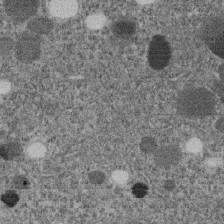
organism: C. elegans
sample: C. elegans embryo early stage